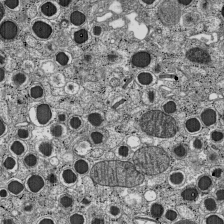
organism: C57BL Mouse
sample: Pancreatic islet